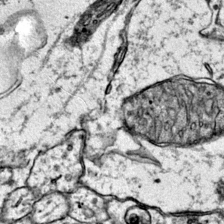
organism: Mouse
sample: Primary visual cortex